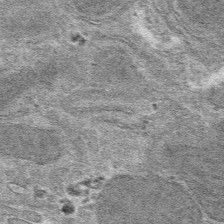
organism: Mouse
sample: Mouse hepatocytes